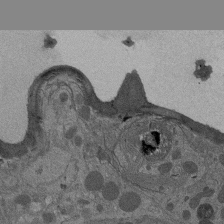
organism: Drosophila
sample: Antenna